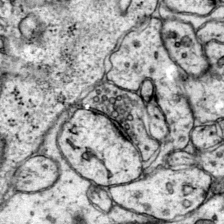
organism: Mouse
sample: Primary visual cortex